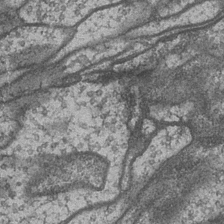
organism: Drosophila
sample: Optic medulla